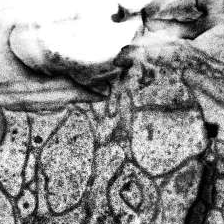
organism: Human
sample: Temporal Lobe